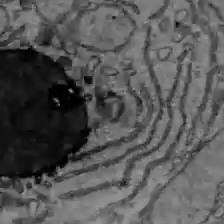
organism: C57BL Mouse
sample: Liver